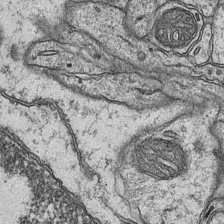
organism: Mouse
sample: CA1 Hippocampus